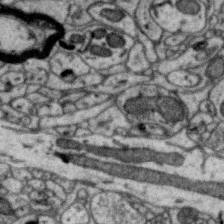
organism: Zebra finch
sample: Brain